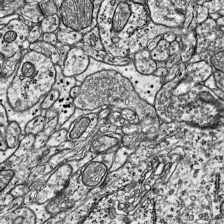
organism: Mouse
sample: Visual Cortex